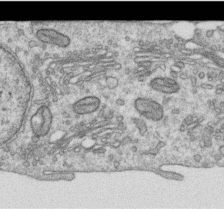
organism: Human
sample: Centriole in RPE cells